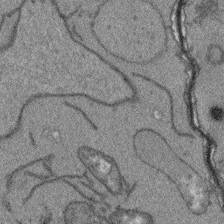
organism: Arabidopsis thaliana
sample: Root tip